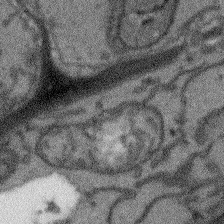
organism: Arabidopsis thaliana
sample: Root tip